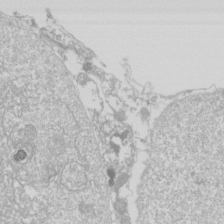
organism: Drosophila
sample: Cell division; meiosis; drosophila spermatocytes